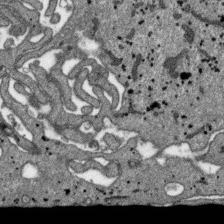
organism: Human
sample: Lung epithelial cells, uninfected (mock) control